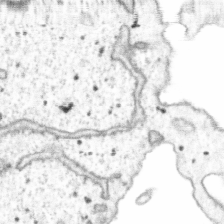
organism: Human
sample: HeLa cells